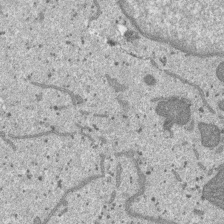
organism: Human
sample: Lung epithelial cells infected with SARS-CoV-2